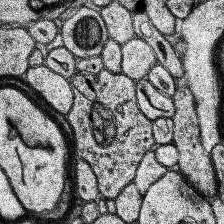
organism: Human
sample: Temporal Lobe